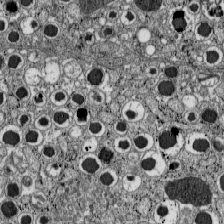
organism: C57BL Mouse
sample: Pancreatic islet